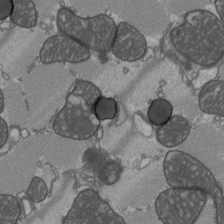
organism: C57BL Mouse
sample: Heart